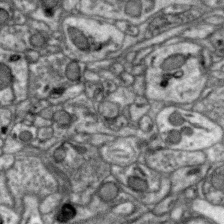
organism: Zebra finch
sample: Brain